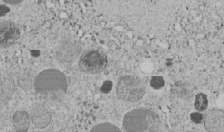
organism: C. elegans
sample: C. elegans embryo early stage